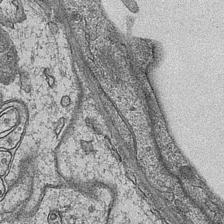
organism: Mouse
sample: CA1 Hippocampus